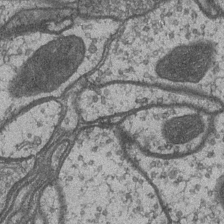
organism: Drosophila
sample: Optic medulla